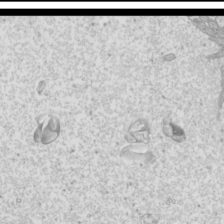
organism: Mouse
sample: Cilia; mouse epididymis